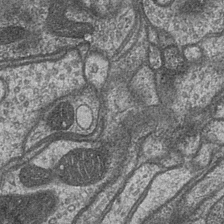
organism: Drosophila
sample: Optic medulla